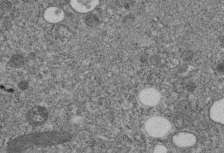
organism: C. elegans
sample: C. elegans embryo early stage